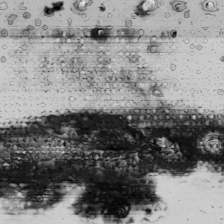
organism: Human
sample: Mitochondria in HCT116 cells